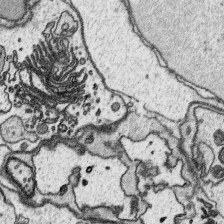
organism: Platynereis dumerilii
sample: Parapodia